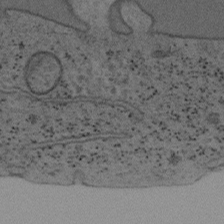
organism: Human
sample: HeLa cells